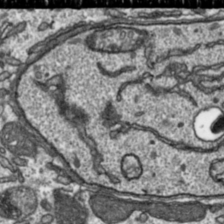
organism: Toxoplasma gondii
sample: Parasites in a vacuole inside a host cell